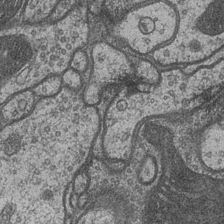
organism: Drosophila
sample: Optic medulla